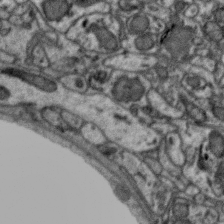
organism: Zebra finch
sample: Brain